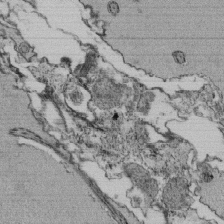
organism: Tetrahymena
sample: Cilia in tetrahymena